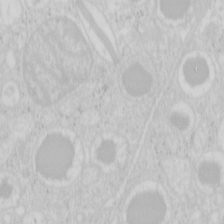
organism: Mouse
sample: Pancreas